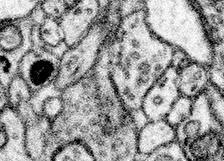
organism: Mouse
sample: Somatosensory cortex neuropil